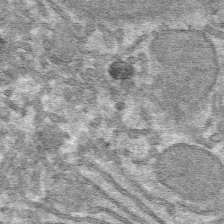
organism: Mouse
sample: Mouse hepatocytes